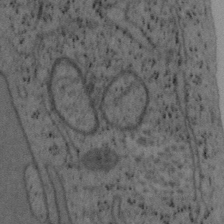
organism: Human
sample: HeLa cells